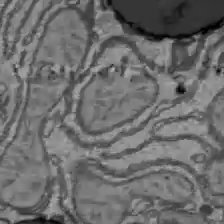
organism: C57BL Mouse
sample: Liver